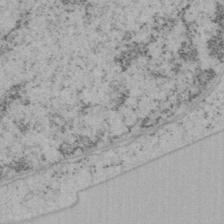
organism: Human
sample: HeLa cells